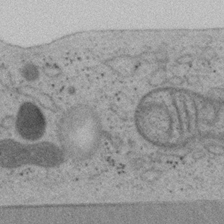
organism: Human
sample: HeLa cells